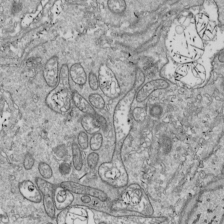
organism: Drosophila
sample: Cell division; meiosis; drosophila spermatocytes